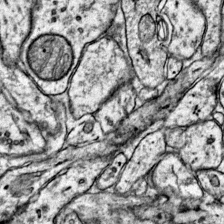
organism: Mouse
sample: Primary visual cortex